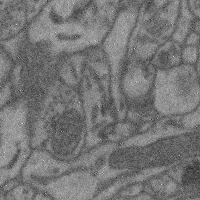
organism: Mouse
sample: Cerebral cortex